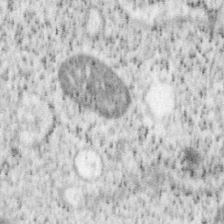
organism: Mouse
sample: OT-I killer T cells with ID8 ovarian cancer cells